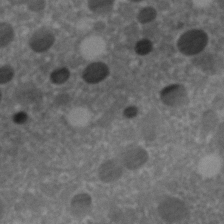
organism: C. elegans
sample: C. elegans embryo